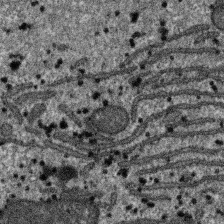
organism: Human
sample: Lung epithelial cells infected with SARS-CoV-2